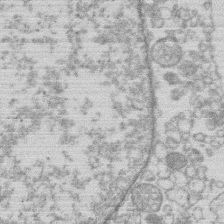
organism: Human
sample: Macrophage cells